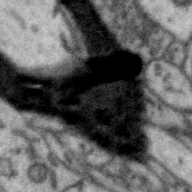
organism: Zebra finch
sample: Brain